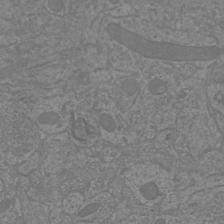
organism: Mouse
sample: Cortical neurons